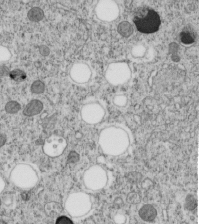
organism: C. elegans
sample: C. elegans embryo early stage